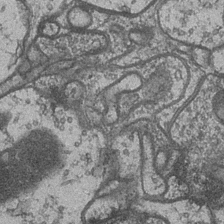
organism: Drosophila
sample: Optic medulla